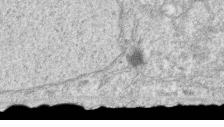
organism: Human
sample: HeLa cell HIV synapse